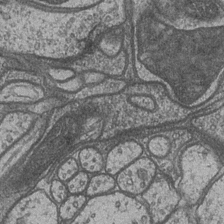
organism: Drosophila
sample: Optic medulla